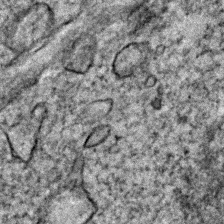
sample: Trachea